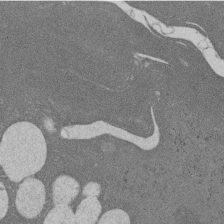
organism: Rat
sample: Salivary granule